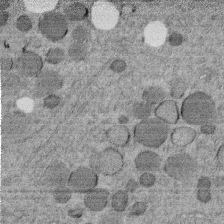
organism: C. elegans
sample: C. elegans embryo early stage